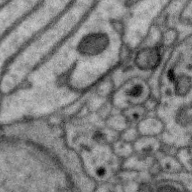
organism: Zebra finch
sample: Brain